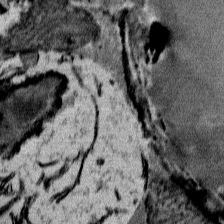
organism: Mouse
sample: Mouse Salivary gland